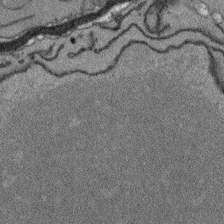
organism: Arabidopsis thaliana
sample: Root tip